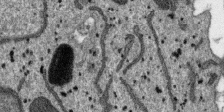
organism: Human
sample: Lung epithelial cells, uninfected (mock) control